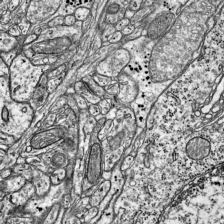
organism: Mouse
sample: Visual Cortex